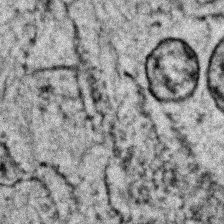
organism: Zebrafish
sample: Zebrafish embryo